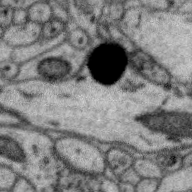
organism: Zebra finch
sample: Brain